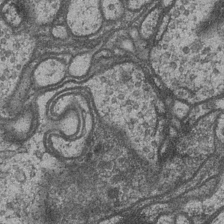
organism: Drosophila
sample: Optic medulla